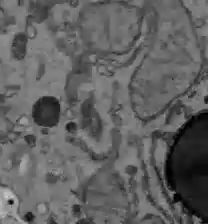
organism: C57BL Mouse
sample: Liver